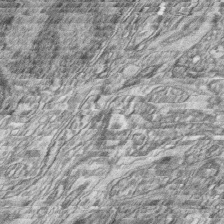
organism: Zebrafish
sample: synaptic ribbons in rod cells and cone cells